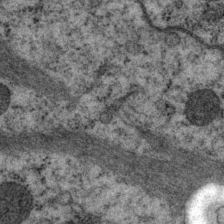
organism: P. pacificus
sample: Pharynx